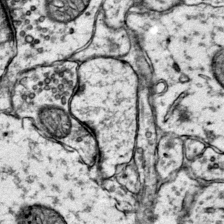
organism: Mouse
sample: Primary visual cortex